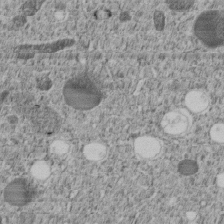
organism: C. elegans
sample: C. elegans embryo early stage